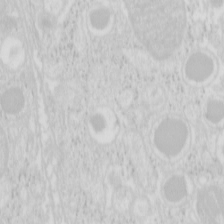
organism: Mouse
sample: Pancreas